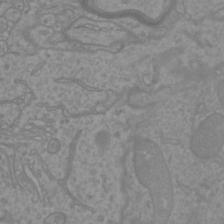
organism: Mouse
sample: Cortical neurons